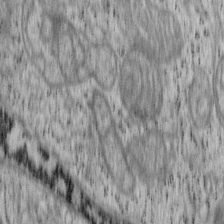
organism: Human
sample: HeLa cells